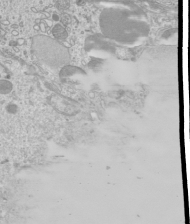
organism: Mouse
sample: Cilia; mouse epididymis